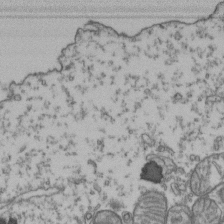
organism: Human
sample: Activated Jurkat CD4+ T cells